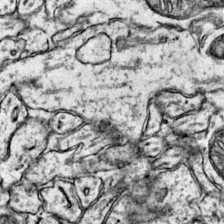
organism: Mouse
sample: Primary visual cortex